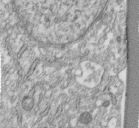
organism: Human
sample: Centriole in fibroblast cells